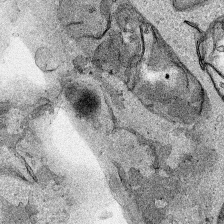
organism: Human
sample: Mitochondria in HCT116 cells